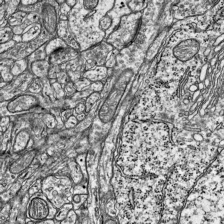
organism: Mouse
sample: Visual Cortex